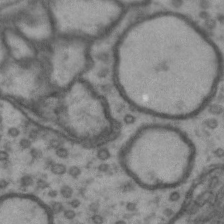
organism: Drosophila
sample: Brain